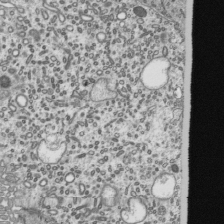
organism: Mouse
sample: Mouse epididymis efferent ductule cilia